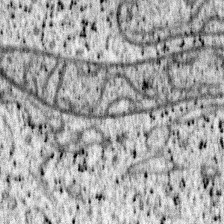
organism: Human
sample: HeLa cells